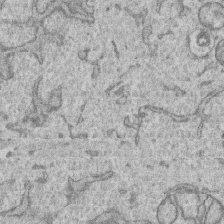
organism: Human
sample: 1205lu cells